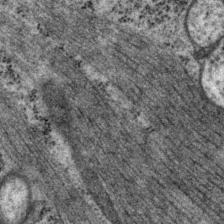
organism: P. pacificus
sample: Pharynx